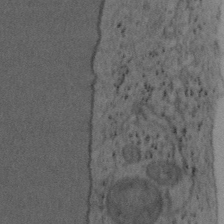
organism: Human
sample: HeLa cells